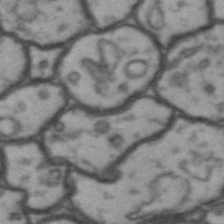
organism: Drosophila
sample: Brain